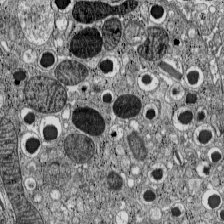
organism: C57BL Mouse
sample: Pancreatic islet